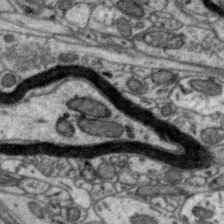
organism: Zebra finch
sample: Brain